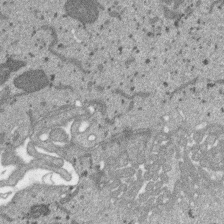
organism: Human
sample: Lung epithelial cells infected with SARS-CoV-2